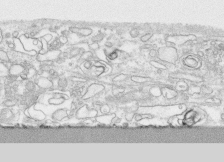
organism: Human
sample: CRL-1474